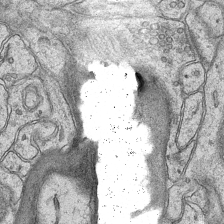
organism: Mouse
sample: CA1 Hippocampus